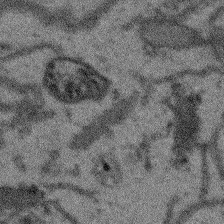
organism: Arabidopsis thaliana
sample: Root tip